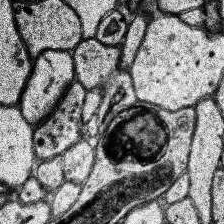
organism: Human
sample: Temporal Lobe